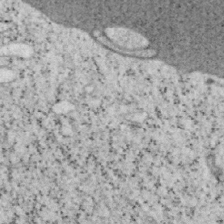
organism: Mouse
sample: OT-I killer T cells with ID8 ovarian cancer cells